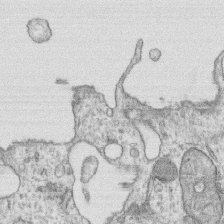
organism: Human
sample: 1205lu cells